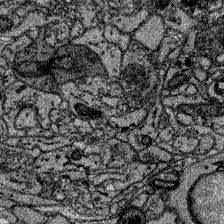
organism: Zebrafish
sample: Larval olfactory bulb